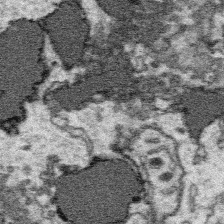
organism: Platynereis dumerilii